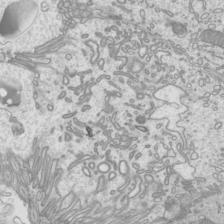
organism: Mouse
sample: Cilia; mouse epididymis